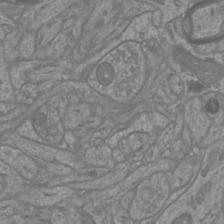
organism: Mouse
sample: Cortical neurons